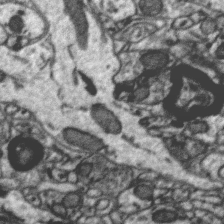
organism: Zebra finch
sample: Brain